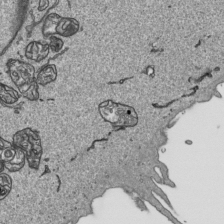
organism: Human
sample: Mitochondria in HCT116 cells